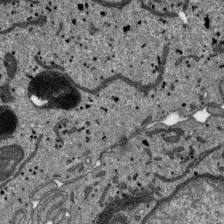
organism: Human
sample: Lung epithelial cells, uninfected (mock) control